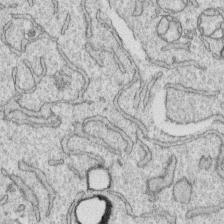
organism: Human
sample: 1205lu cells